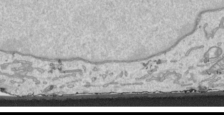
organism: Human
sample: Mitochondria in HCT116 cells